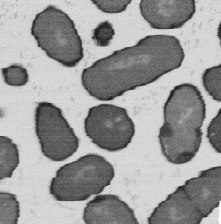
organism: B. subtilis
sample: Bacterial spore